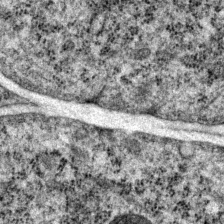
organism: P. pacificus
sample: Pharynx